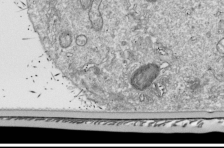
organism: Drosophila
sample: Cell division; meiosis; drosophila spermatocytes